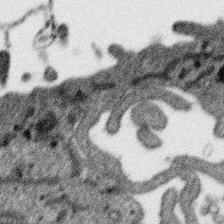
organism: Human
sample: Lung epithelial cells infected with SARS-CoV-2